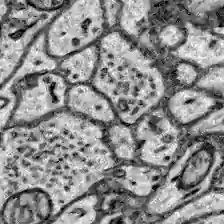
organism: Zebrafish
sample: Brain